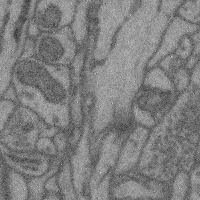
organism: Mouse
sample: Cerebral cortex